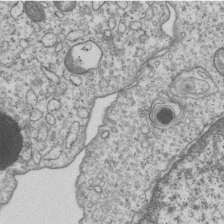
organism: Human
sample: MDA-MB-231 cells